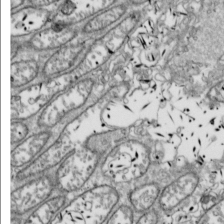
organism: Drosophila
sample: Cell division; meiosis; drosophila spermatocytes